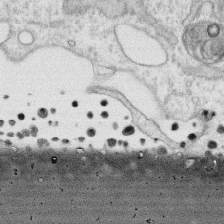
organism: Human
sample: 1205lu cells